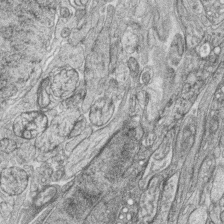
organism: Zebrafish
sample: synaptic ribbons in rod cells and cone cells